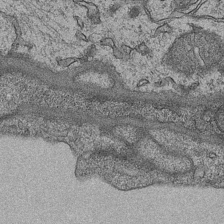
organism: Mouse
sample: CA1 Hippocampus